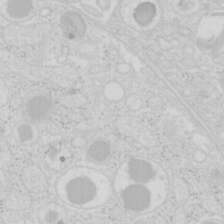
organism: Mouse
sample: Pancreas